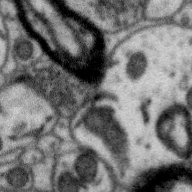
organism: Zebra finch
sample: Brain